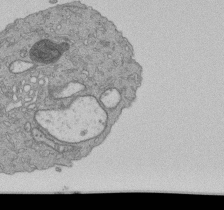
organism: Human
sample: Retinal organoid Rod and Cone cells